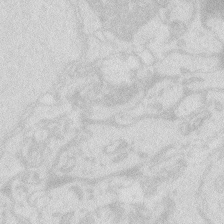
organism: Zebrafish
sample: Macrophage